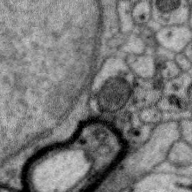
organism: Zebra finch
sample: Brain